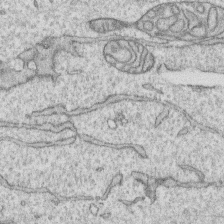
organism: Human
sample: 1205lu cells